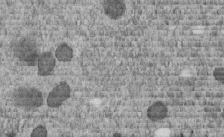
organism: C. elegans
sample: C. elegans embryo early stage